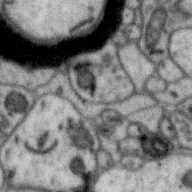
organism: Zebra finch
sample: Brain